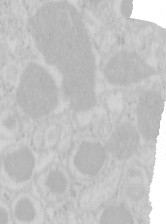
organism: Mouse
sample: Pancreas